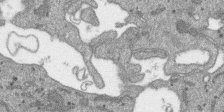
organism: Human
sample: Lung epithelial cells infected with SARS-CoV-2